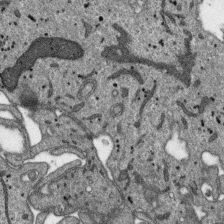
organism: Human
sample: Lung epithelial cells, uninfected (mock) control